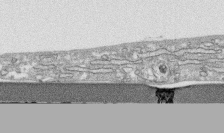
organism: Human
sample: CRL-1474